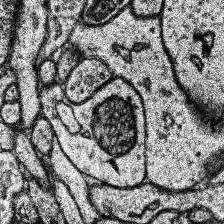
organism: Human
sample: Temporal Lobe